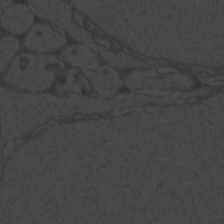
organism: Zebrafish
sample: Macrophage infected with Toxoplasma gondii